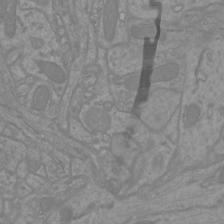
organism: Mouse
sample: Cortical neurons